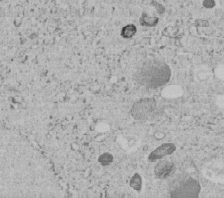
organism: C. elegans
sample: C. elegans embryo early stage